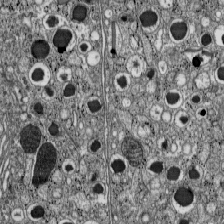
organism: C57BL Mouse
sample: Pancreatic islet